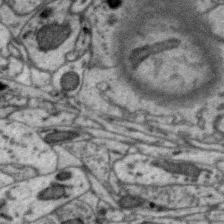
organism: Zebra finch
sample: Brain